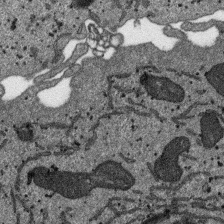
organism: Human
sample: Lung epithelial cells infected with SARS-CoV-2